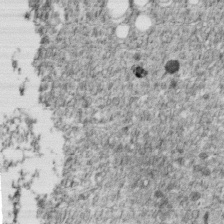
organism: C. elegans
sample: C. elegans embryo early stage